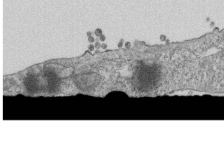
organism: Human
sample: HeLa cell HIV synapse